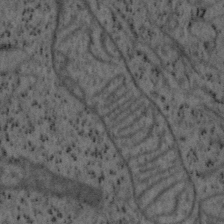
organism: Human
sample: HeLa cells